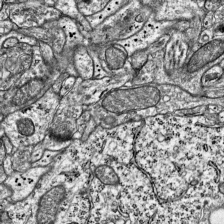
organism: Mouse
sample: Visual Cortex